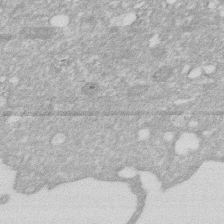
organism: Human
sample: HIV infected U937 cells